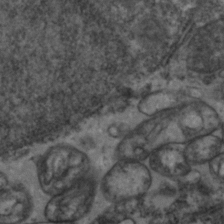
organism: Zebrafish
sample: Zebrafish embryo